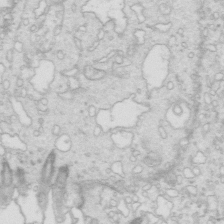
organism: Mouse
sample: Multiciliated cells